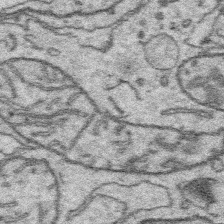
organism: Platynereis dumerilii